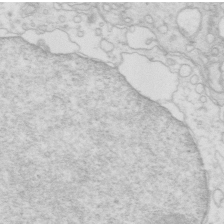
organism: Mouse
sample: Multiciliated cells